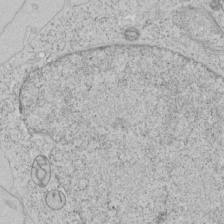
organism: Human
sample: Mitochondria in HCT116 cells